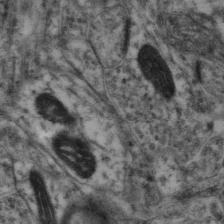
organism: Mouse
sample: Neocortex